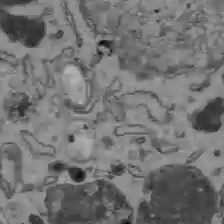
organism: C57BL Mouse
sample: Liver